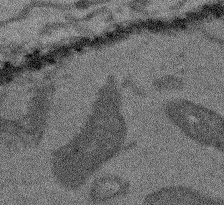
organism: Arabidopsis thaliana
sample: Root tip